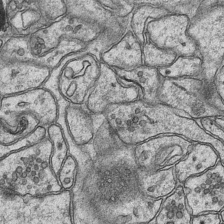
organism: Mouse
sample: CA1 Hippocampus